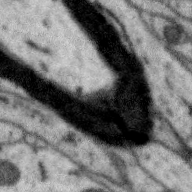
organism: Zebra finch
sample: Brain